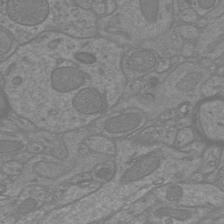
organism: Mouse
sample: Cortical neurons